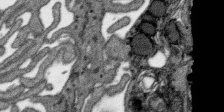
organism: Human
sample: Lung epithelial cells, uninfected (mock) control